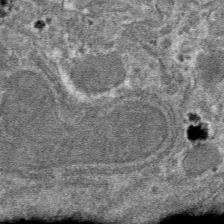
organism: Mouse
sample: Mouse hepatocytes